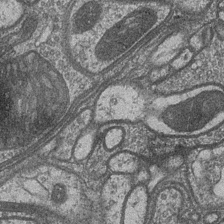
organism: Drosophila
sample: Optic medulla